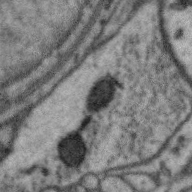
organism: Zebra finch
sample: Brain